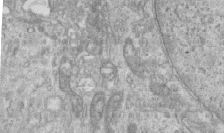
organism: Human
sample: Centriole in RPE cells